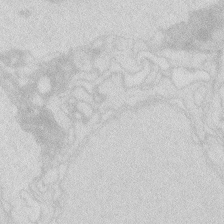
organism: Zebrafish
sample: Macrophage